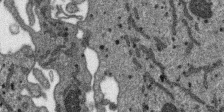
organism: Human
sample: Lung epithelial cells infected with SARS-CoV-2